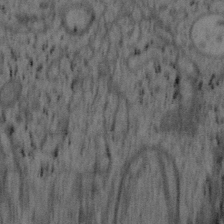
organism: Human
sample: HeLa cells